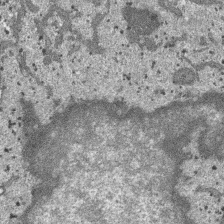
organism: Human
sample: Lung epithelial cells infected with SARS-CoV-2